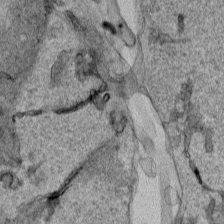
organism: Human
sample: Mitochondria in HCT116 cells